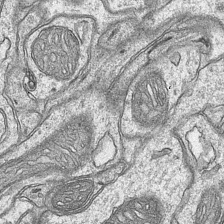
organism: Mouse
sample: CA1 Hippocampus